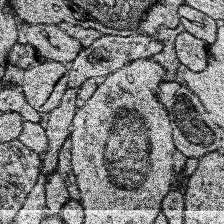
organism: Human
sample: Temporal Lobe